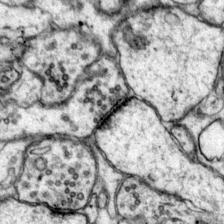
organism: Mouse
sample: Primary visual cortex